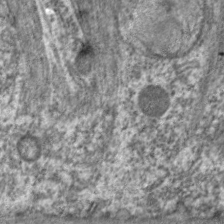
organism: C. elegans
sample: Pharynx